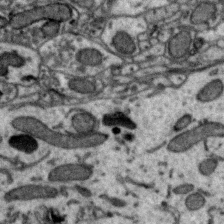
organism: Zebra finch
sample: Brain